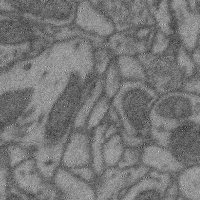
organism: Mouse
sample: Cerebral cortex